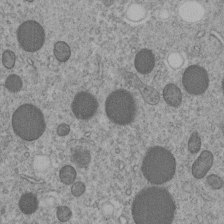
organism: C. elegans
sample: C. elegans embryo early stage